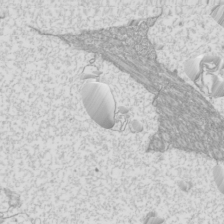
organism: Mouse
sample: Cilia; mouse epididymis